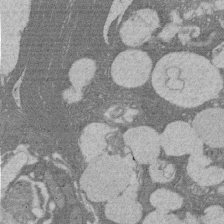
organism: Rat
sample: Salivary granule